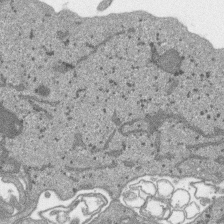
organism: Human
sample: Lung epithelial cells infected with SARS-CoV-2